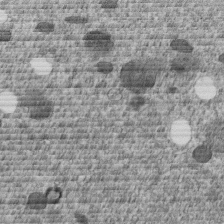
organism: C. elegans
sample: C. elegans embryo early stage